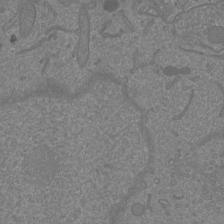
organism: Mouse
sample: Cortical neurons